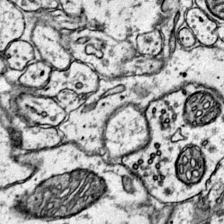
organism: Mouse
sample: Primary visual cortex